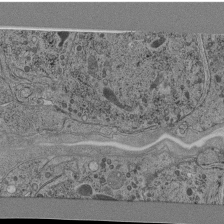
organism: C. elegans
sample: C. elegans pharynx